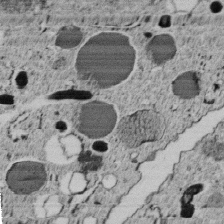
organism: C. elegans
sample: C. elegans embryo early stage